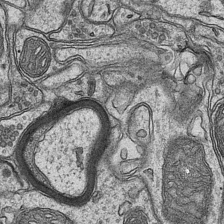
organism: Mouse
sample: CA1 Hippocampus